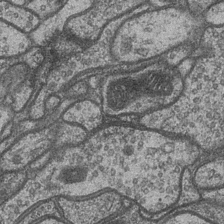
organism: Drosophila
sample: Optic medulla